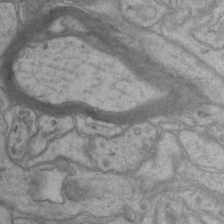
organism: Mouse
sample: CA1 Hippocampus